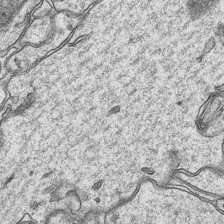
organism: Mouse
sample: CA1 Hippocampus